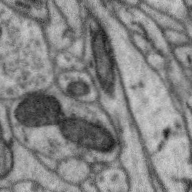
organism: Zebra finch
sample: Brain